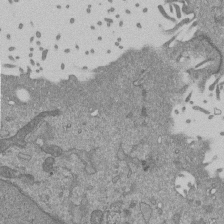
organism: Mouse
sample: ED-1 cell nuclei; centrioles